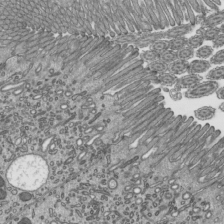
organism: Mouse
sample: Mouse epididymis efferent ductule cilia